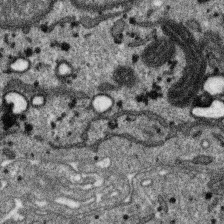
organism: Human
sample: Lung epithelial cells infected with SARS-CoV-2